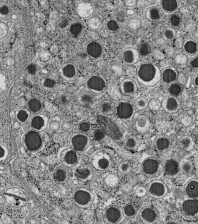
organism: C57BL Mouse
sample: Pancreatic islet